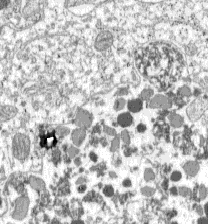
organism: C57BL Mouse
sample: Pancreatic islet